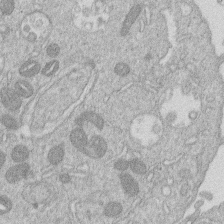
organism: Human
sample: Macrophage cells